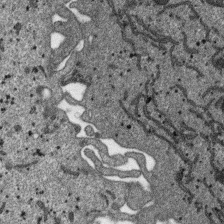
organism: Human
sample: Lung epithelial cells infected with SARS-CoV-2